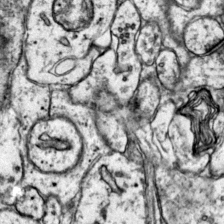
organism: Mouse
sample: Primary visual cortex